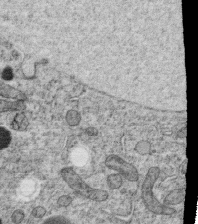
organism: C. elegans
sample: C. elegans oocyte; sperm cells